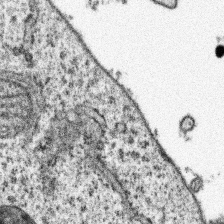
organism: Human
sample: HeLa cells